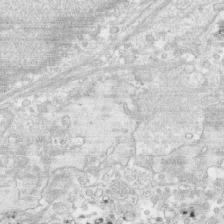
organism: Human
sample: CRL-1474